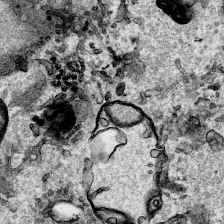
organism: Human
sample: Mitochondria in HCT116 cells